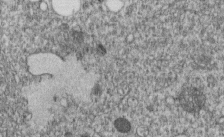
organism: C. elegans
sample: C. elegans embryo early stage